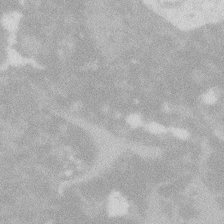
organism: Zebrafish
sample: Macrophage